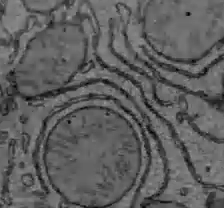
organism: C57BL Mouse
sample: Liver